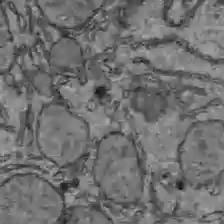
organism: C57BL Mouse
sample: Liver